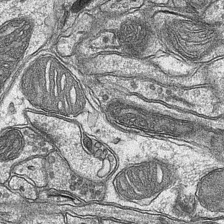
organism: Mouse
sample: CA1 Hippocampus